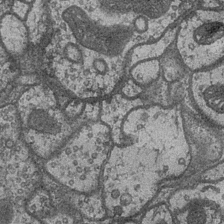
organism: Drosophila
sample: Optic medulla